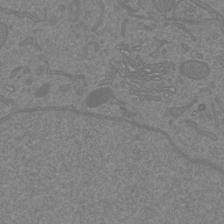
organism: Mouse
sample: Cortical neurons